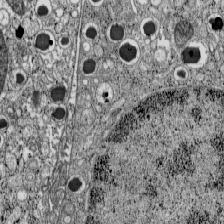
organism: C57BL Mouse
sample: Pancreatic islet